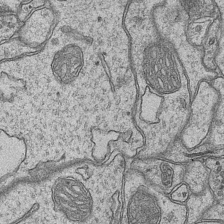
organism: Mouse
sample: CA1 Hippocampus